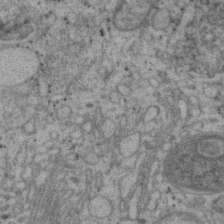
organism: Human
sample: HeLa cells